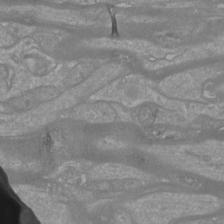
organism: Mouse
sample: Cortical neurons